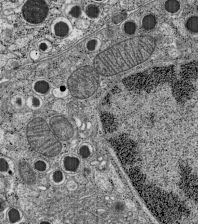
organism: C57BL Mouse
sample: Pancreatic islet